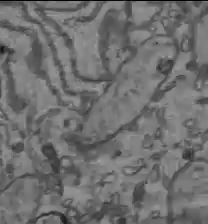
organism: C57BL Mouse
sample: Liver